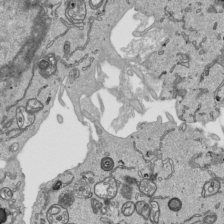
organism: Human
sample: Mitochondria in HCT116 cells